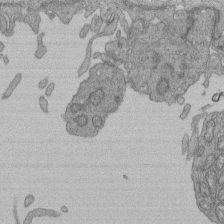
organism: Human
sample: Retinal organoid Rod and Cone cells